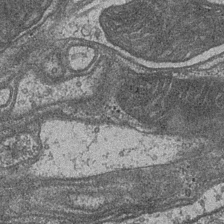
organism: Drosophila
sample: Optic medulla